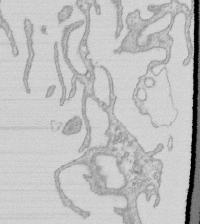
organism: Mouse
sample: Macrophages